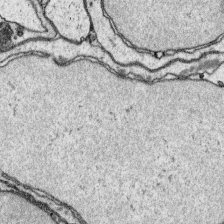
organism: Platynereis dumerilii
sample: Parapodia